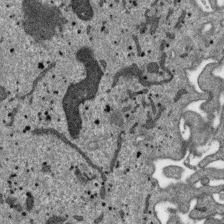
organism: Human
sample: Lung epithelial cells, uninfected (mock) control